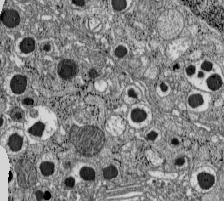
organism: C57BL Mouse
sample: Pancreatic islet